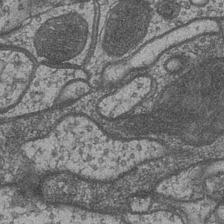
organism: Drosophila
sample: Optic medulla